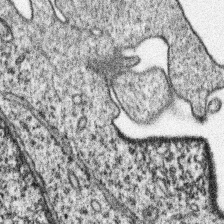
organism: Human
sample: HeLa cells